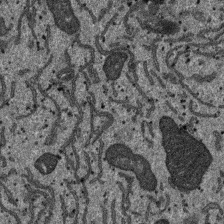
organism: Human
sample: Lung epithelial cells infected with SARS-CoV-2